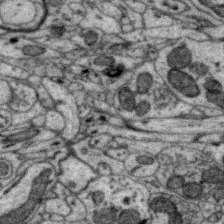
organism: Zebra finch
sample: Brain